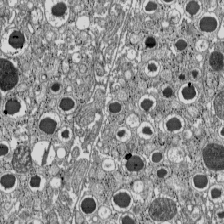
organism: C57BL Mouse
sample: Pancreatic islet